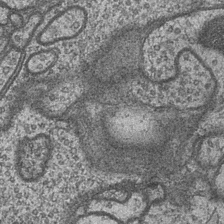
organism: Drosophila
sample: Optic medulla